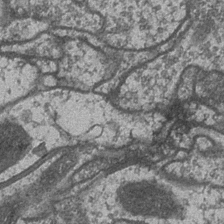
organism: Drosophila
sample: Optic medulla